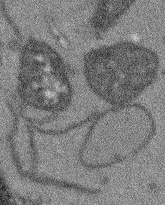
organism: Arabidopsis thaliana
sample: Root tip